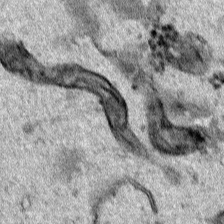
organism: Human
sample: Mitochondria in HCT116 cells